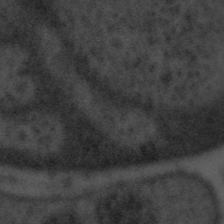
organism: Tuwongella immobilis